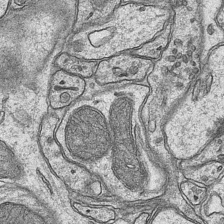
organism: Mouse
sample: CA1 Hippocampus